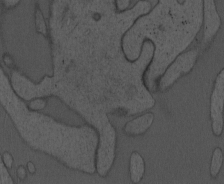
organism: Mouse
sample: OT-I killer T cells with ID8 ovarian cancer cells